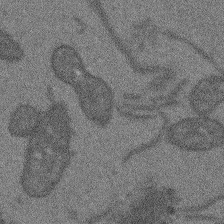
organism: Arabidopsis thaliana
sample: Root tip